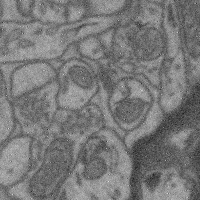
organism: Mouse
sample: Cerebral cortex